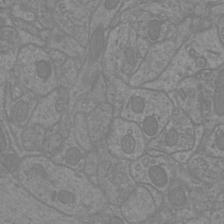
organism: Mouse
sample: Cortical neurons